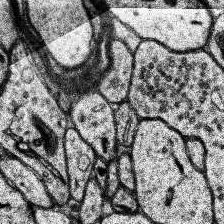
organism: Human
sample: Temporal Lobe